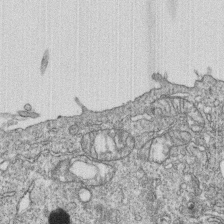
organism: Human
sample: HeLa cell HIV synapse